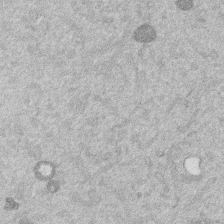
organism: Mouse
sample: Dividing mouse embryo 1 cell stage